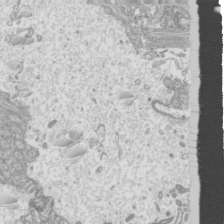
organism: Mouse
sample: Cilia; mouse epididymis